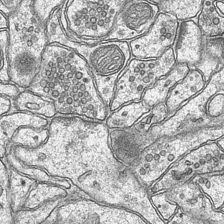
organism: Mouse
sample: CA1 Hippocampus